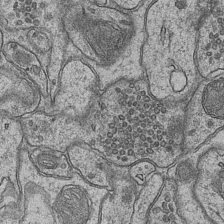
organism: Mouse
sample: CA1 Hippocampus